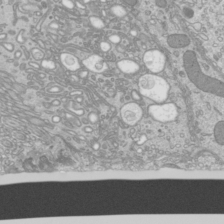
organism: Mouse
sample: Cilia; mouse epididymis